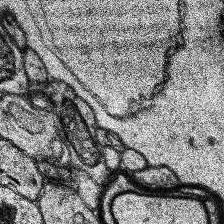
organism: Human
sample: Temporal Lobe